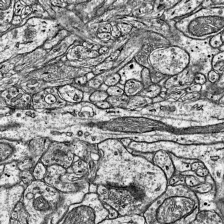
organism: Mouse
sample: Visual Cortex